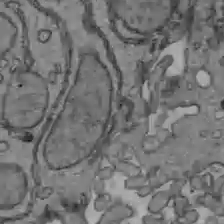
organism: C57BL Mouse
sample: Liver